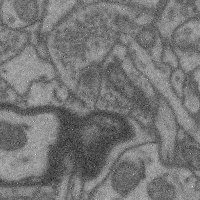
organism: Mouse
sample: Cerebral cortex